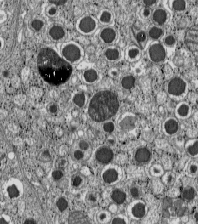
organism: C57BL Mouse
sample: Pancreatic islet